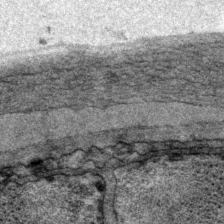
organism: P. pacificus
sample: Pharynx